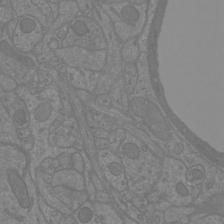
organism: Mouse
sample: Cortical neurons